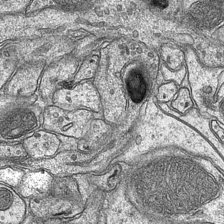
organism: Mouse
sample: CA1 Hippocampus